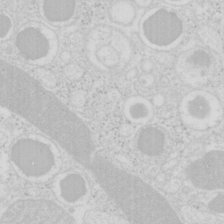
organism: Mouse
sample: Pancreas